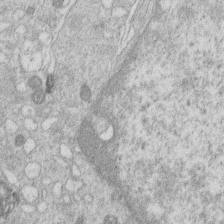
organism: Human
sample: Macrophage cells